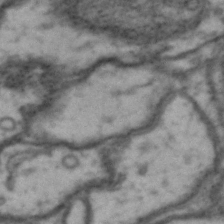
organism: Drosophila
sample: Brain